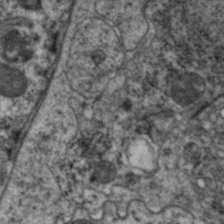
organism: C. elegans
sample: Pharynx